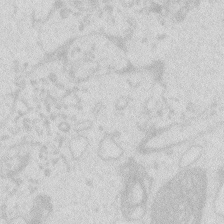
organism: Zebrafish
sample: Macrophage